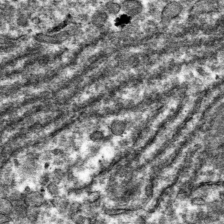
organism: Mouse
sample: Mouse hepatocytes